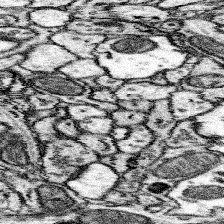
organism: Mouse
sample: Somatosensory cortex neuropil